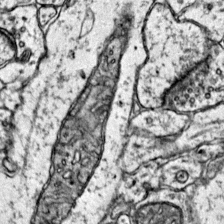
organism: Mouse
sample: Primary visual cortex